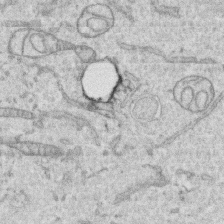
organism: Human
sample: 1205lu cells